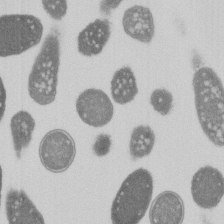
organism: E. coli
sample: Bacterial nucleoid